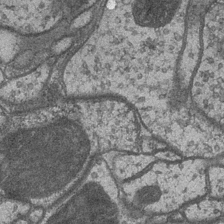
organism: Drosophila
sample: Optic medulla